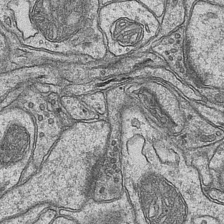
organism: Mouse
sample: CA1 Hippocampus